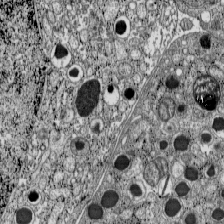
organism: C57BL Mouse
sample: Pancreatic islet